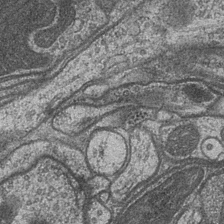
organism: Drosophila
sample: Optic medulla